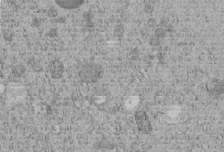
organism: C. elegans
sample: C. elegans embryo early stage